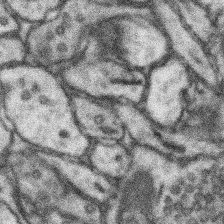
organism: Mouse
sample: Somatosensory cortex neuropil